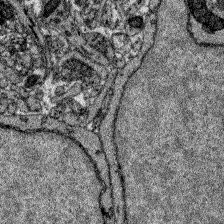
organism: Zebrafish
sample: Larval olfactory bulb